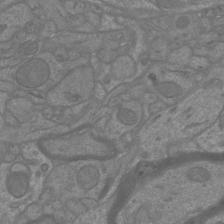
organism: Mouse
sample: Cortical neurons